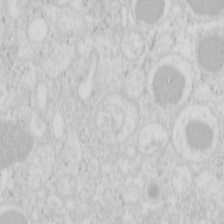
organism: Mouse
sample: Pancreas